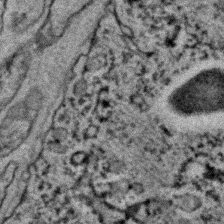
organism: C. elegans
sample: C. elegans embryo